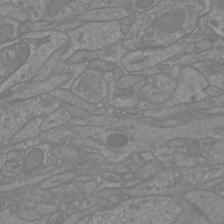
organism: Mouse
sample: Cortical neurons